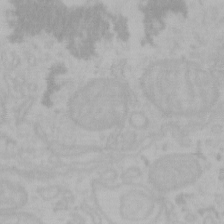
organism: Mouse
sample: Choroid plexus